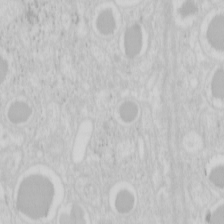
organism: Mouse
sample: Pancreas